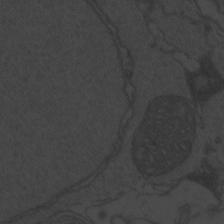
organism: Zebrafish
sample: Macrophage infected with Toxoplasma gondii